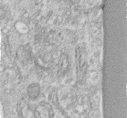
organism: Human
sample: Centriole in fibroblast cells